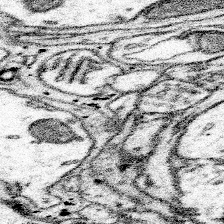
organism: Mouse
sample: Somatosensory cortex neuropil